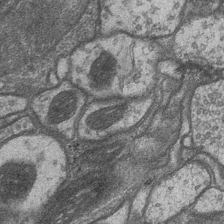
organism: Drosophila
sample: Optic medulla